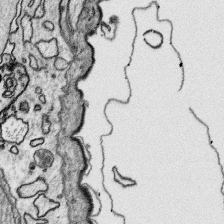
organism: Platynereis dumerilii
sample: Parapodia